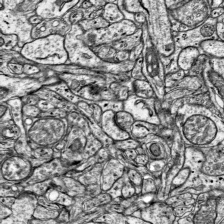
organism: Mouse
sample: Visual Cortex